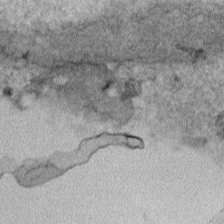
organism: Human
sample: Mitochondria in HCT116 cells